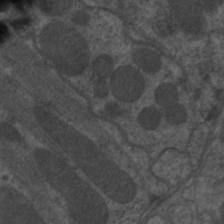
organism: C. elegans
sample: Pharynx